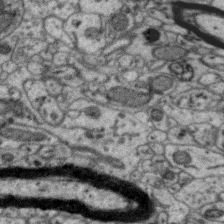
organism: Zebra finch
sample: Brain